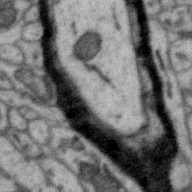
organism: Zebra finch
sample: Brain